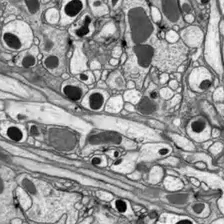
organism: Drosophila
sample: Optic lobe